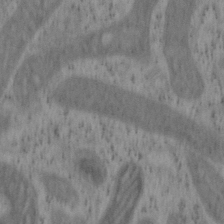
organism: Mouse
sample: OT-I killer T cells with ID8 ovarian cancer cells